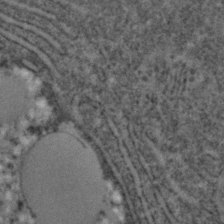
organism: C. elegans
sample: C. elegans embryo